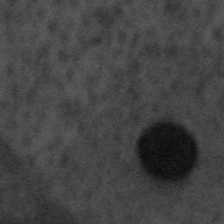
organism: Tuwongella immobilis